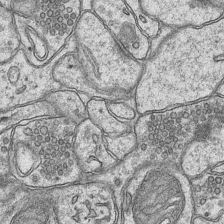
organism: Mouse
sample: CA1 Hippocampus